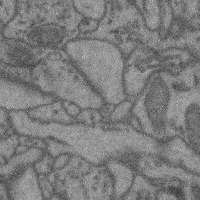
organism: Mouse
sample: Cerebral cortex